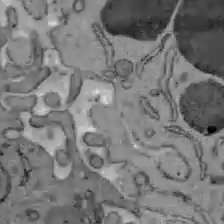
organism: C57BL Mouse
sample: Liver